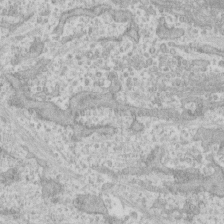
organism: Human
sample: CRL-1474